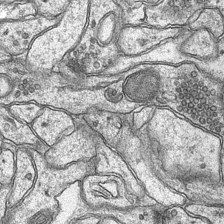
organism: Mouse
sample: CA1 Hippocampus